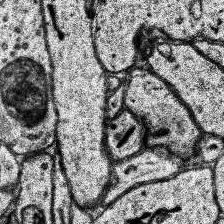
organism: Human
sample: Temporal Lobe